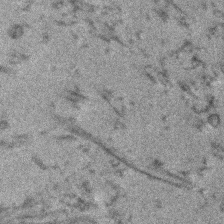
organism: Human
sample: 1205lu cells